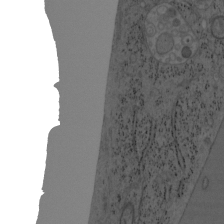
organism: Mouse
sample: OT-I killer T cells with ID8 ovarian cancer cells